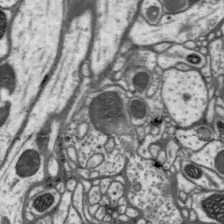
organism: Drosophila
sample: Protocerebral bridge